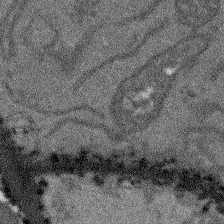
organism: Arabidopsis thaliana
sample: Root tip